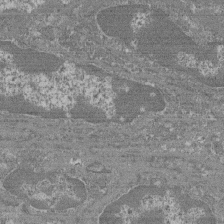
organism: Mouse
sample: Glomerulus